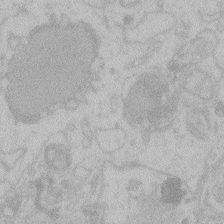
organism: Zebrafish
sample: Macrophage infected with Toxoplasma gondii